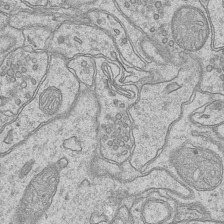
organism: Mouse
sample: CA1 Hippocampus